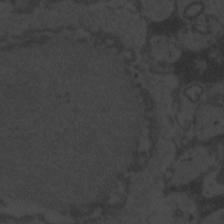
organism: Zebrafish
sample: Macrophage infected with Toxoplasma gondii